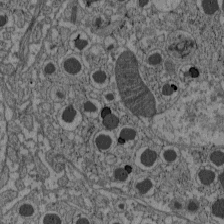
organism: C57BL Mouse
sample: Pancreatic islet